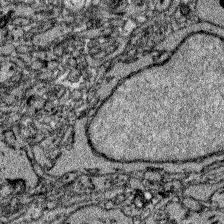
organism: Zebrafish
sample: Larval olfactory bulb